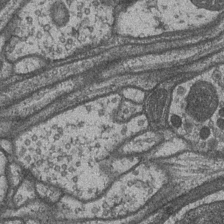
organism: Drosophila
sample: Optic medulla